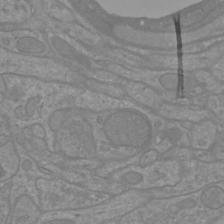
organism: Mouse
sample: Cortical neurons